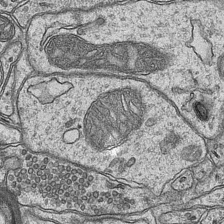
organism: Mouse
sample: CA1 Hippocampus